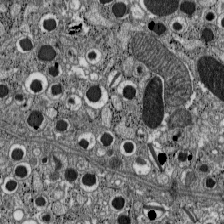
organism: C57BL Mouse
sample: Pancreatic islet